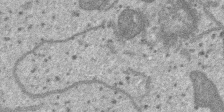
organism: Human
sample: Lung epithelial cells infected with SARS-CoV-2